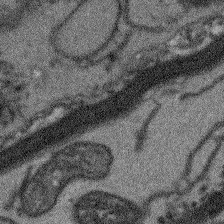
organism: Arabidopsis thaliana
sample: Root tip